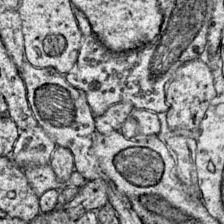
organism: Mouse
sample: Primary visual cortex